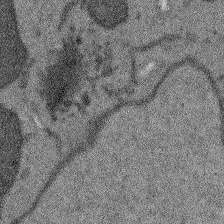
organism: Arabidopsis thaliana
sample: Root tip